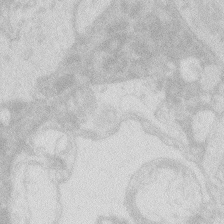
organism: Zebrafish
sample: Macrophage